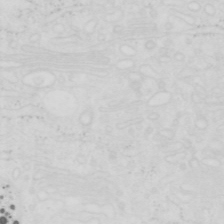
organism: Human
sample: SUM-159 cell